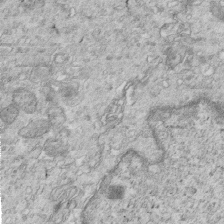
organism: Mouse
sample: Multiciliated cells